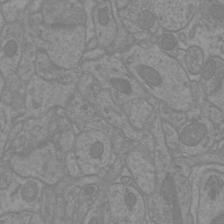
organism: Mouse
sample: Cortical neurons